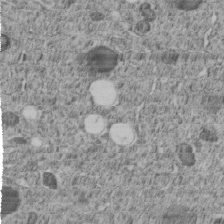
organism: C. elegans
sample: C. elegans embryo early stage